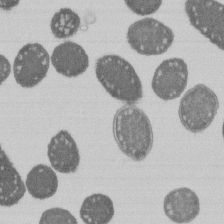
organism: E. coli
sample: Bacterial nucleoid